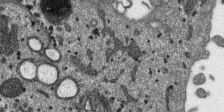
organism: Human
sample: Lung epithelial cells infected with SARS-CoV-2